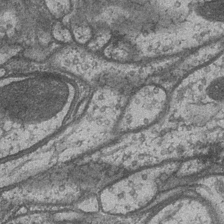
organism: Drosophila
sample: Optic medulla